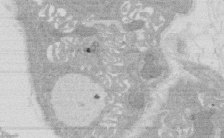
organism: Rat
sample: Salivary granule